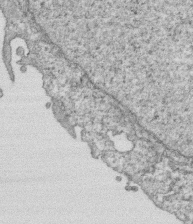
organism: Human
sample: HeLa cell HIV synapse